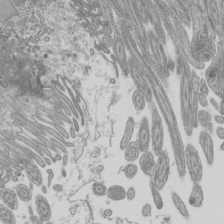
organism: Mouse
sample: Cilia; mouse epididymis